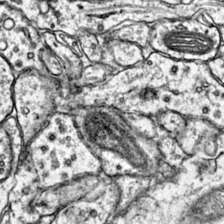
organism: Mouse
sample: Primary visual cortex